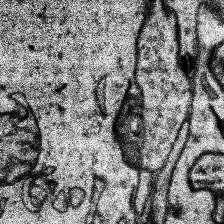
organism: Human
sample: Temporal Lobe